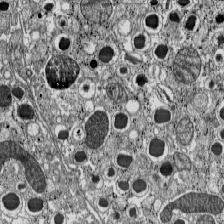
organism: C57BL Mouse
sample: Pancreatic islet